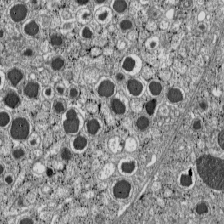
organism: C57BL Mouse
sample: Pancreatic islet